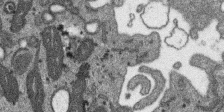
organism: Human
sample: Lung epithelial cells infected with SARS-CoV-2